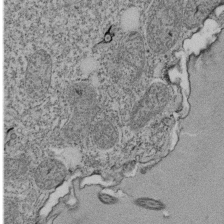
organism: Tetrahymena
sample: Cilia in tetrahymena